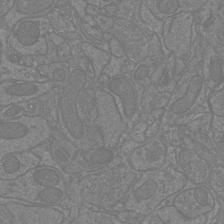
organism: Mouse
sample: Cortical neurons